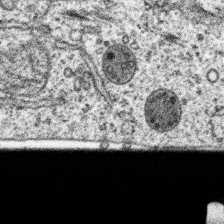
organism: Human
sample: HeLa cells